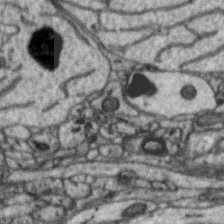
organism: Zebra finch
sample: Brain